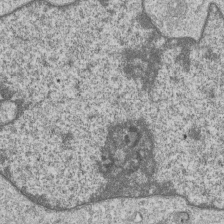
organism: Human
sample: MDA-MB-231 cells